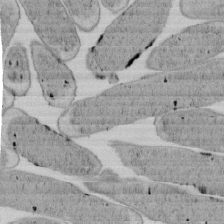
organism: E. coli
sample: Bacterial nucleoid